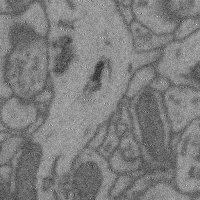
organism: Mouse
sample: Cerebral cortex